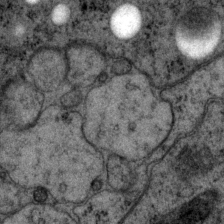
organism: P. pacificus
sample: Pharynx